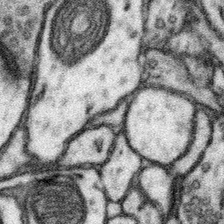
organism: Mouse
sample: Somatosensory cortex neuropil